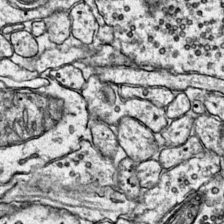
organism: Mouse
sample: Primary visual cortex